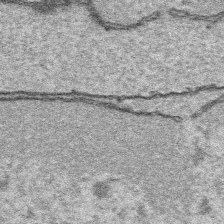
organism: Platynereis dumerilii